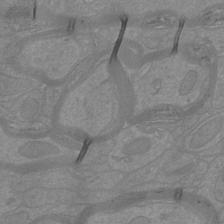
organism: Mouse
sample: Cortical neurons